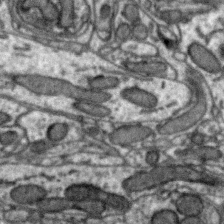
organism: Zebra finch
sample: Brain